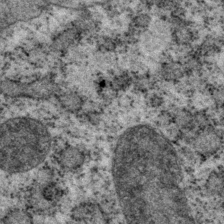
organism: P. pacificus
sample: Pharynx